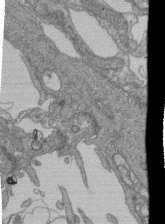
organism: Human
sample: Retinal organoid Rod and Cone cells